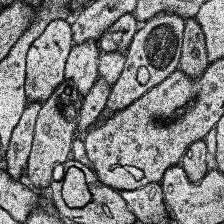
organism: Human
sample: Temporal Lobe